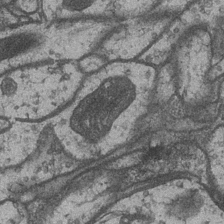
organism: Drosophila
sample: Optic medulla